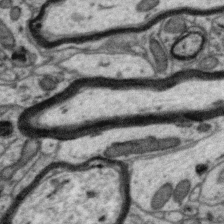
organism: Zebra finch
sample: Brain